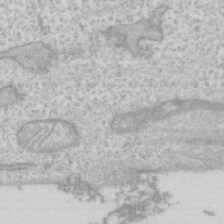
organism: Human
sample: Fibroblast cells